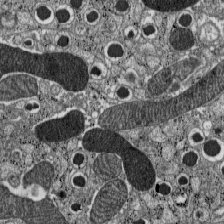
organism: C57BL Mouse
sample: Pancreatic islet